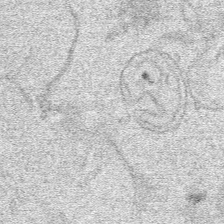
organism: Human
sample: Mitochondria in HCT116 cells